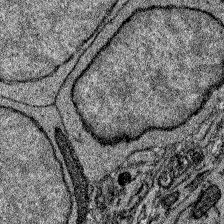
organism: Zebrafish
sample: Larval olfactory bulb